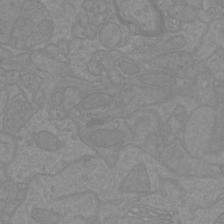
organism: Mouse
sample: Cortical neurons